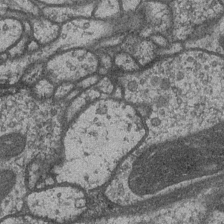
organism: Drosophila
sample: Optic medulla